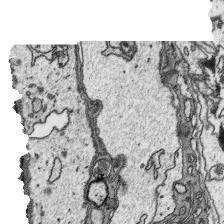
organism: Platynereis dumerilii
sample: Parapodia